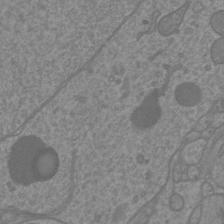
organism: Mouse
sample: Cortical neurons